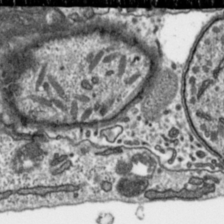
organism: Toxoplasma gondii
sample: Parasites in a vacuole inside a host cell